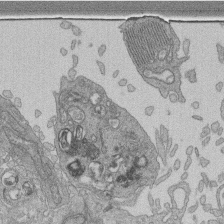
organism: Human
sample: Retinal organoid Rod and Cone cells